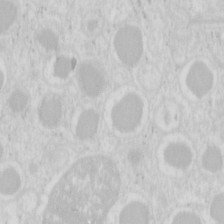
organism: Mouse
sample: Pancreas